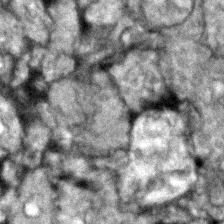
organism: Zebrafish